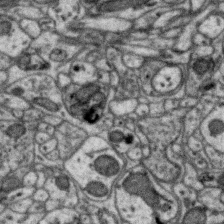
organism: Zebra finch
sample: Brain